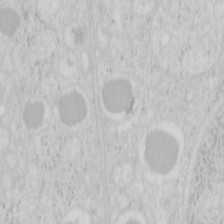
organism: Mouse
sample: Pancreas